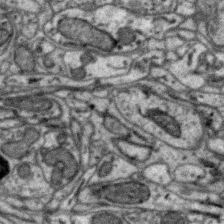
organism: Zebra finch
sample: Brain